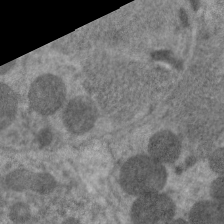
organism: C. elegans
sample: Pharynx